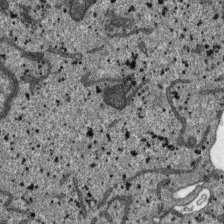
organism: Human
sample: Lung epithelial cells infected with SARS-CoV-2